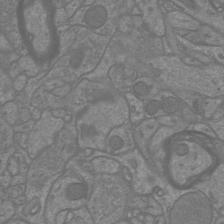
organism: Mouse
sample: Cortical neurons